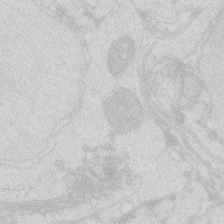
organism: Zebrafish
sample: Macrophage